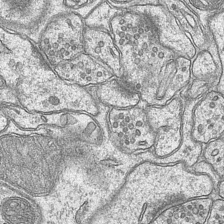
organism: Mouse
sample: CA1 Hippocampus